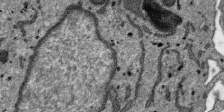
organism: Human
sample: Lung epithelial cells, uninfected (mock) control